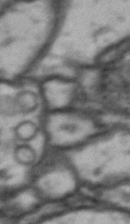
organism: Drosophila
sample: Brain